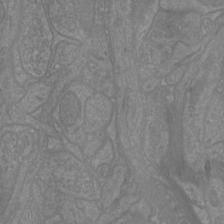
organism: Mouse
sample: Cortical neurons